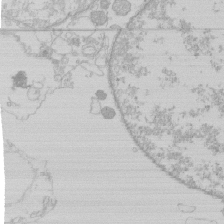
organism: Human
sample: Macrophage cells